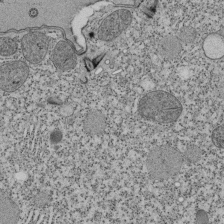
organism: Tetrahymena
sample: Cilia in tetrahymena